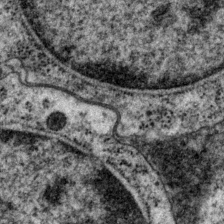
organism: P. pacificus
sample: Pharynx